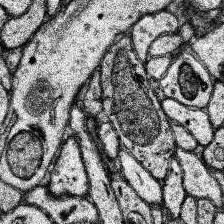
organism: Human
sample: Temporal Lobe